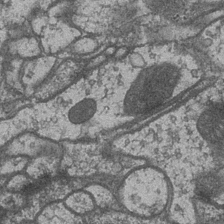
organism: Drosophila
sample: Optic medulla